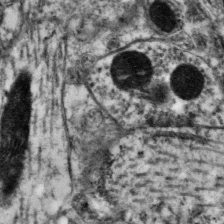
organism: Mouse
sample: Neocortex